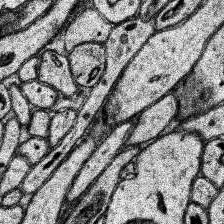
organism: Human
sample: Temporal Lobe